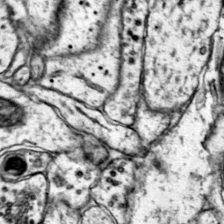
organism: Mouse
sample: Primary visual cortex